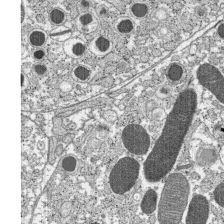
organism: C57BL Mouse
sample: Pancreatic islet